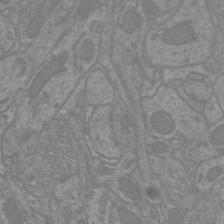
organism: Mouse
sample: Cortical neurons